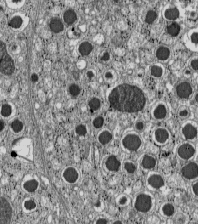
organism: C57BL Mouse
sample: Pancreatic islet